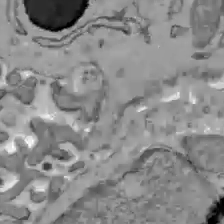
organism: C57BL Mouse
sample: Liver